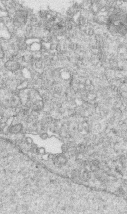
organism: Human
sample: HeLa cell HIV synapse